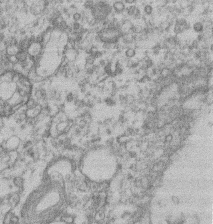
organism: Mouse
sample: T cell stromal cell synapse